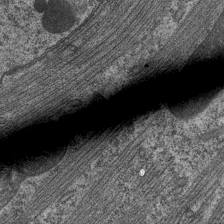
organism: C. elegans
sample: Pharynx